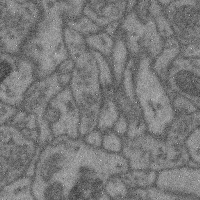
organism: Mouse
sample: Cerebral cortex